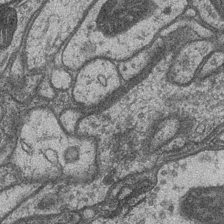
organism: Drosophila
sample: Optic medulla